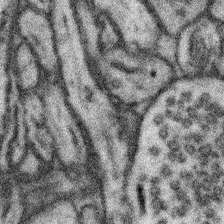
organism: Mouse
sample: Somatosensory cortex neuropil